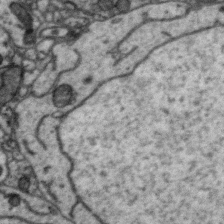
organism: Zebra finch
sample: Brain